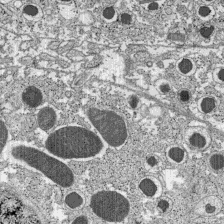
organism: C57BL Mouse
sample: Pancreatic islet